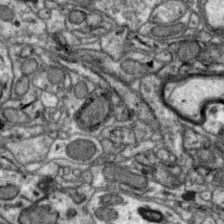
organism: Zebra finch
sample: Brain